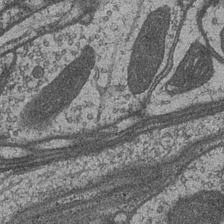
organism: Drosophila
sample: Optic medulla